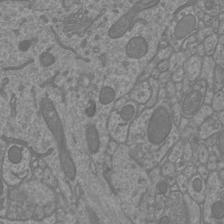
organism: Mouse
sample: Cortical neurons